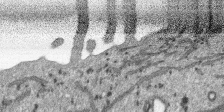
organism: Human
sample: Lung epithelial cells infected with SARS-CoV-2